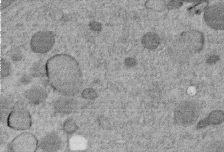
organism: C. elegans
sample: C. elegans embryo early stage